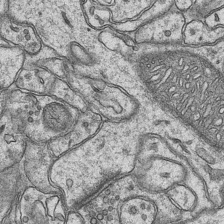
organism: Mouse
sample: CA1 Hippocampus